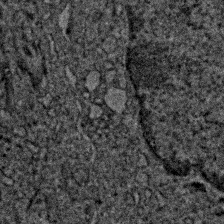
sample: Trachea